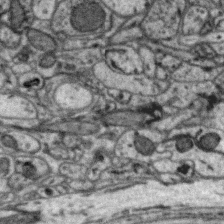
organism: Zebra finch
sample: Brain